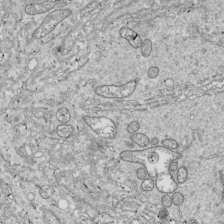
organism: Drosophila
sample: Cell division; meiosis; drosophila spermatocytes